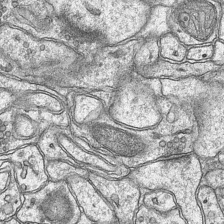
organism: Mouse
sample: CA1 Hippocampus